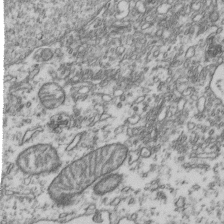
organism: Human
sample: Activated Jurkat CD4+ T cells